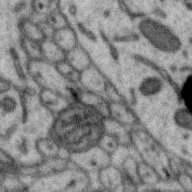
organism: Zebra finch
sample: Brain